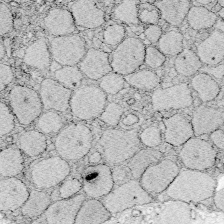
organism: Zebrafish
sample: Whole-Brain